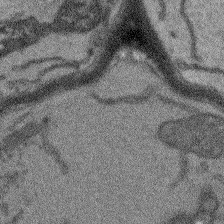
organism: Arabidopsis thaliana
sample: Root tip